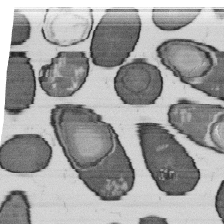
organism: B. subtilis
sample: Bacterial spore